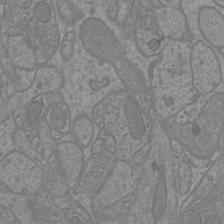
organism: Mouse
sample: Cortical neurons